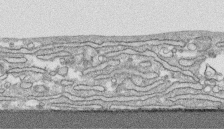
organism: Human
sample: CRL-1474